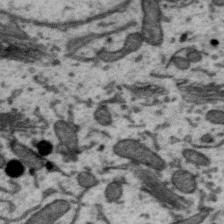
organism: Zebra finch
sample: Brain